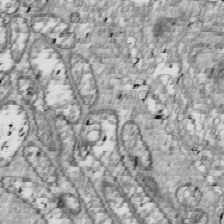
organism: Drosophila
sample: Cell division; meiosis; drosophila spermatocytes